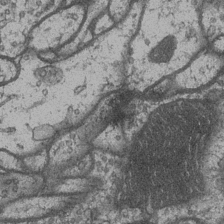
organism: Drosophila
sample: Optic medulla